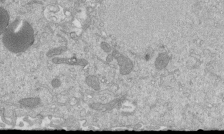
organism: Mouse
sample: ED-1 cell nuclei; centrioles